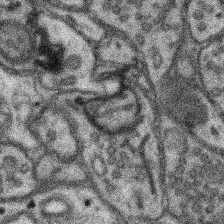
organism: Mouse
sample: Somatosensory cortex neuropil